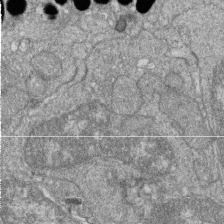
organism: Zebrafish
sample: Cilia; retinal pigment epithelium